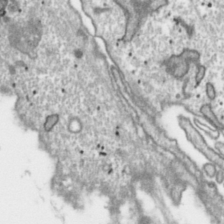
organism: Toxoplasma gondii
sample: Parasites in a vacuole inside a host cell